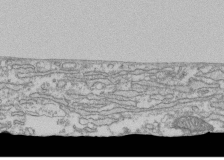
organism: Human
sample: Fibroblast cells